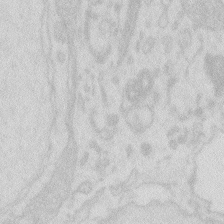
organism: Zebrafish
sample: Macrophage